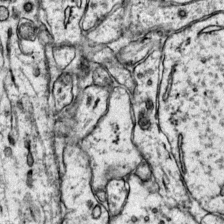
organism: Mouse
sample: Primary visual cortex